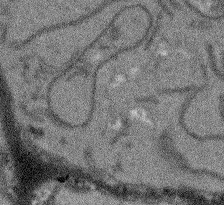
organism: Arabidopsis thaliana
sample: Root tip